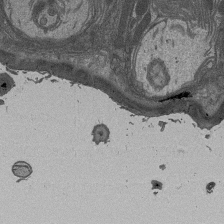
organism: Drosophila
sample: Antenna